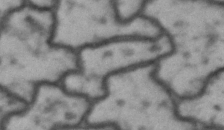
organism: Drosophila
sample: Brain